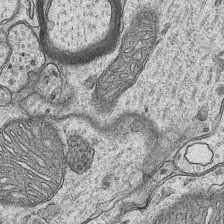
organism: Mouse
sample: CA1 Hippocampus